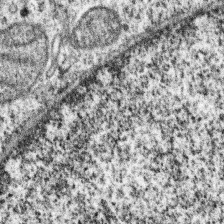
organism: Human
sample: HeLa cells